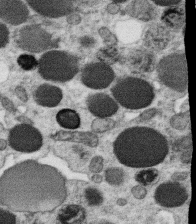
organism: C. elegans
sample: C. elegans oocyte; sperm cells